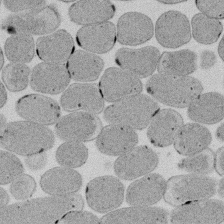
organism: E. coli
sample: Bacterial nucleoid